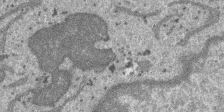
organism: Human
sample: Lung epithelial cells infected with SARS-CoV-2